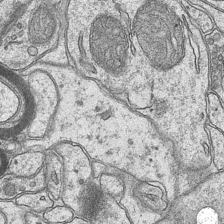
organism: Mouse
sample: CA1 Hippocampus